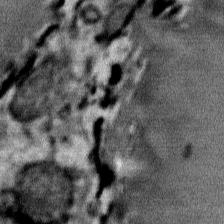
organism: Mouse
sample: Mouse Salivary gland